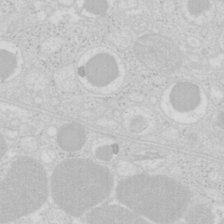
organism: Mouse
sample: Pancreas